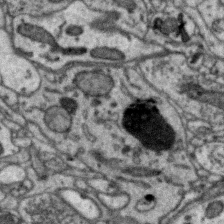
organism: Zebra finch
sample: Brain